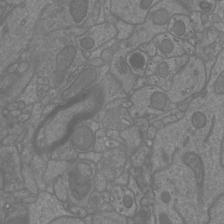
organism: Mouse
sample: Cortical neurons